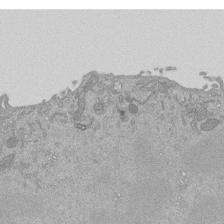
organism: Mouse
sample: ED-1 cell nuclei; centrioles